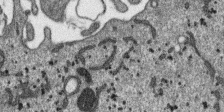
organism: Human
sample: Lung epithelial cells infected with SARS-CoV-2